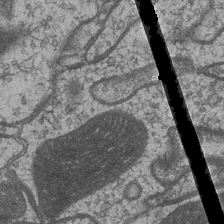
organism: Drosophila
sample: Optic medulla